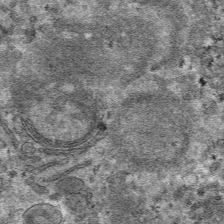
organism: Mouse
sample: Mouse hepatocytes